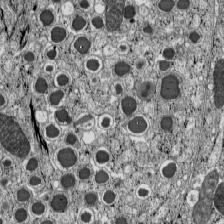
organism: C57BL Mouse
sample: Pancreatic islet